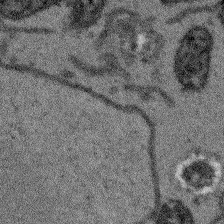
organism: Arabidopsis thaliana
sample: Root tip